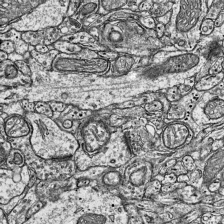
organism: Mouse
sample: Visual Cortex